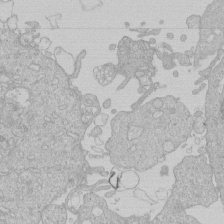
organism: Human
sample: Macrophage cells